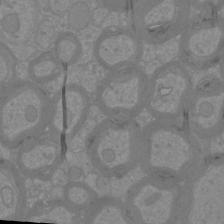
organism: Mouse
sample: Cortical neurons